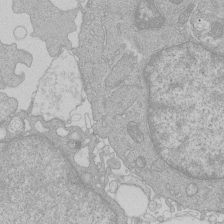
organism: Human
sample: Macrophage cells